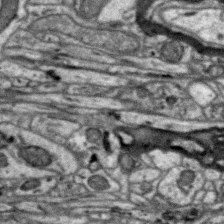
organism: Zebra finch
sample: Brain